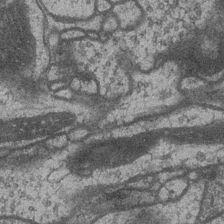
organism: Drosophila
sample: Optic medulla